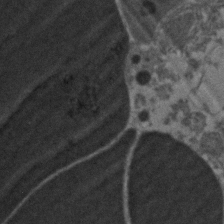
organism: Zebrafish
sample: Zebrafish embryo